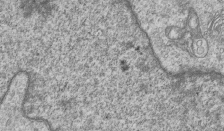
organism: Human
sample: MDA-MB-231 cells